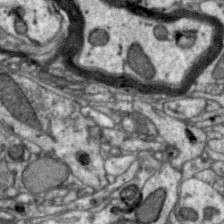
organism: Zebra finch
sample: Brain